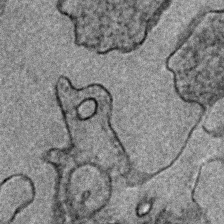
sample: Trachea